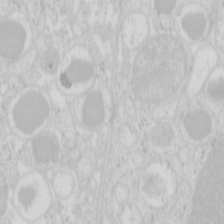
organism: Mouse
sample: Pancreas